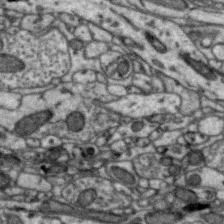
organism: Zebra finch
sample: Brain